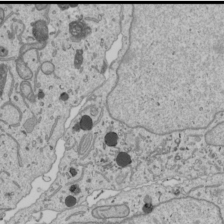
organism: Human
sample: Mitochondria in U2OS cells